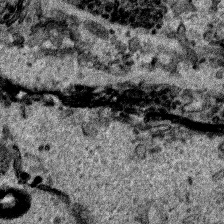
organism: Human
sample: Mitochondria in HCT116 cells